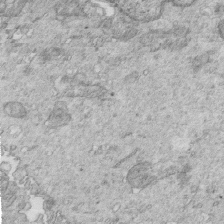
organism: Mouse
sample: Multiciliated cells